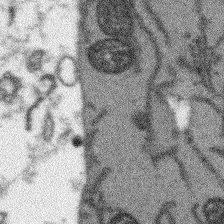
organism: Arabidopsis thaliana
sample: Root tip